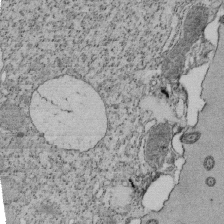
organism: Tetrahymena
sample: Cilia in tetrahymena